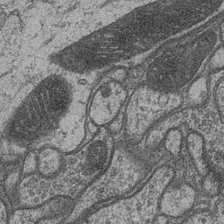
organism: Drosophila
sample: Optic medulla